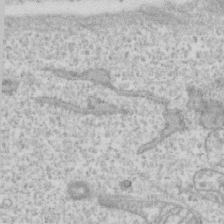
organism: Human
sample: CRL-1474